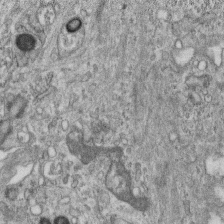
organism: Mouse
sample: Centriole in ependymal cells